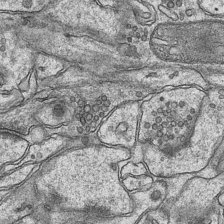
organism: Mouse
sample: CA1 Hippocampus